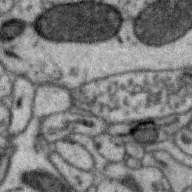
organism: Zebra finch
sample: Brain